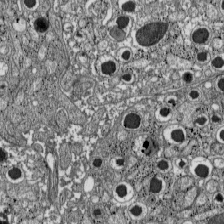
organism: C57BL Mouse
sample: Pancreatic islet